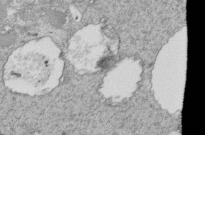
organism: Tetrahymena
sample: Cilia in tetrahymena